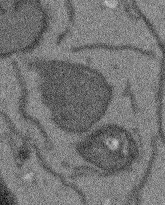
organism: Arabidopsis thaliana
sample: Root tip